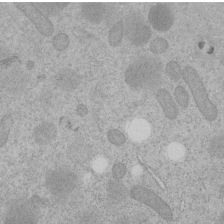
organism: C. elegans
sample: C. elegans embryo early stage